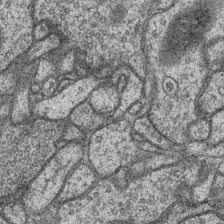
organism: Drosophila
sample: Optic medulla